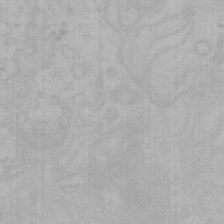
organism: Mouse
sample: Choroid plexus